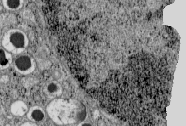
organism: C57BL Mouse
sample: Pancreatic islet